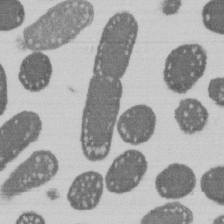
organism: E. coli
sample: Bacterial nucleoid